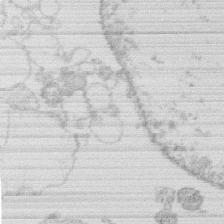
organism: Human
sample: Macrophage cells